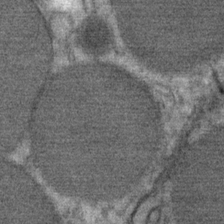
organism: Mouse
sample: Mouse Salivary gland